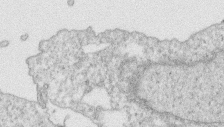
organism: Human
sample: HeLa cell HIV synapse